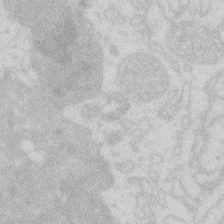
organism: Zebrafish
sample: Macrophage